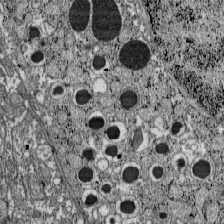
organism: C57BL Mouse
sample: Pancreatic islet